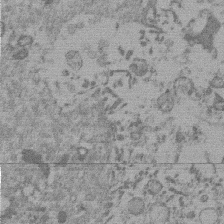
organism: Mouse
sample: Dividing mouse embryo 1 cell stage